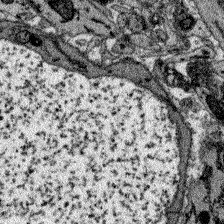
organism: Zebrafish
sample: Larval olfactory bulb